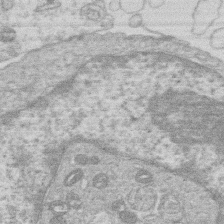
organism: Human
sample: Macrophage cells